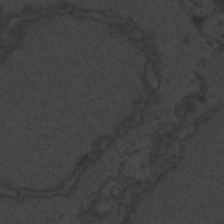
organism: Zebrafish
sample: Macrophage infected with Toxoplasma gondii